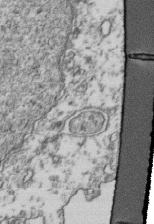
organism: Human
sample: Activated Jurkat CD4+ T cells